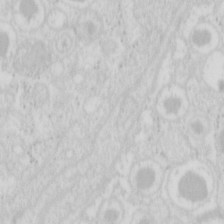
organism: Mouse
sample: Pancreas